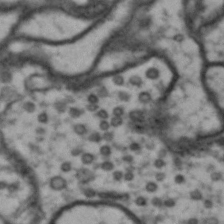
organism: Drosophila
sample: Brain